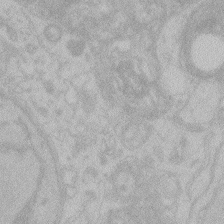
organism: Zebrafish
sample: Macrophage infected with Toxoplasma gondii